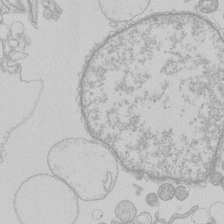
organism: Human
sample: Macrophage cells